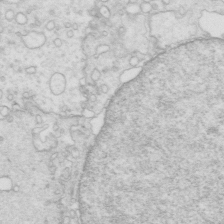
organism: Mouse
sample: Multiciliated cells